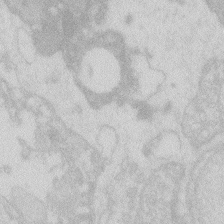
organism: Zebrafish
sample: Macrophage